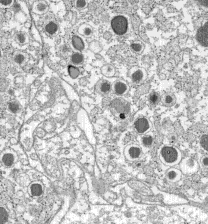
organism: C57BL Mouse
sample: Pancreatic islet